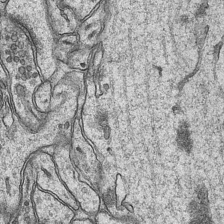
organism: Mouse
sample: CA1 Hippocampus